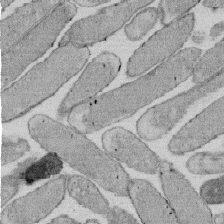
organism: E. coli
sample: Bacterial nucleoid